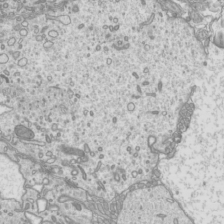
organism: Mouse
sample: Cilia; mouse epididymis